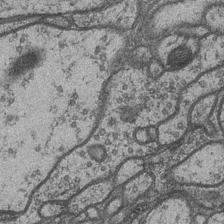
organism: Drosophila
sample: Optic medulla